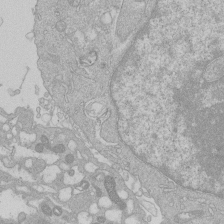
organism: Human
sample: Macrophage cells